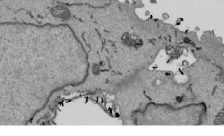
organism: Mouse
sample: ED-1 cell nuclei; centrioles